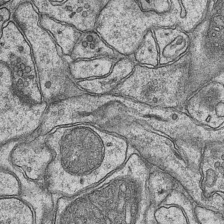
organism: Mouse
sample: CA1 Hippocampus